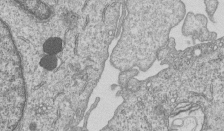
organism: Human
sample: MDA-MB-231 cells